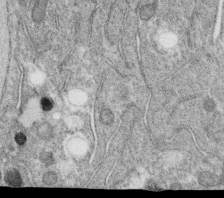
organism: C. elegans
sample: C. elegans oocyte; sperm cells